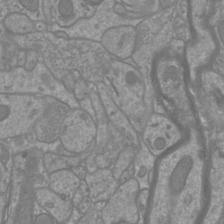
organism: Mouse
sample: Cortical neurons